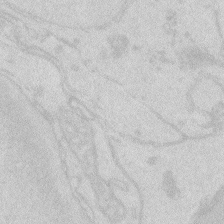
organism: Zebrafish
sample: Macrophage